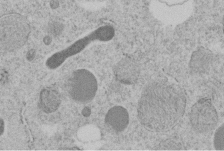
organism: C. elegans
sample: C. elegans embryo early stage